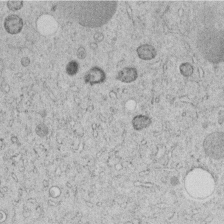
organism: C. elegans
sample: C. elegans embryo early stage